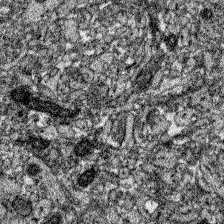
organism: Zebrafish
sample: Larval olfactory bulb